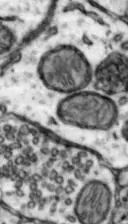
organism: Mouse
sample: Nucleus accumbens